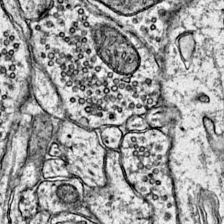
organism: Mouse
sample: Primary visual cortex